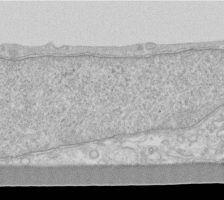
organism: Human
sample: Fibroblast cells